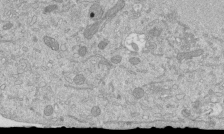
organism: Mouse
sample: ED-1 cell nuclei; centrioles